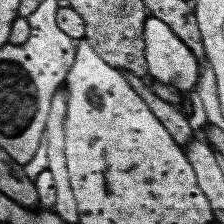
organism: Human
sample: Temporal Lobe